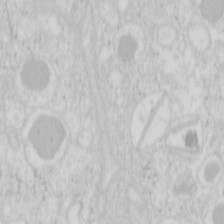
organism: Mouse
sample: Pancreas